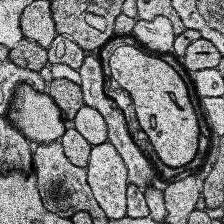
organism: Human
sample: Temporal Lobe